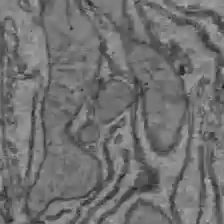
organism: C57BL Mouse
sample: Liver